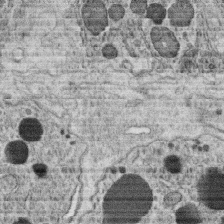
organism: C. elegans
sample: C. elegans oocyte; sperm cells